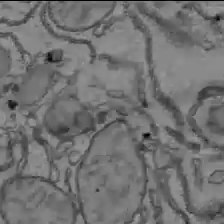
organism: C57BL Mouse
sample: Liver